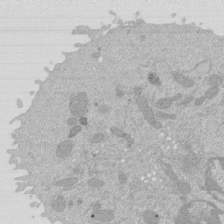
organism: Mouse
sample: Activated Pmel transgenic CD8+ T Cells